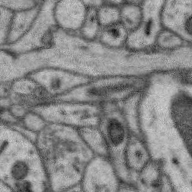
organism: Zebra finch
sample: Brain